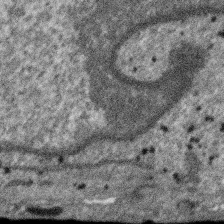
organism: Human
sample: Lung epithelial cells infected with SARS-CoV-2